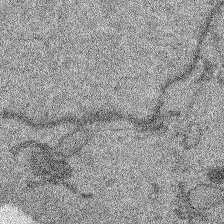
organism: Human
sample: HeLa cells